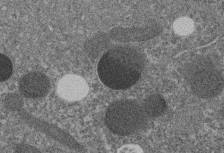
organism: C. elegans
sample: C. elegans embryo early stage